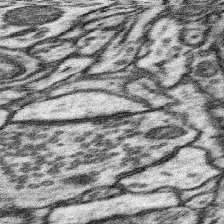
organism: Mouse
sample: Somatosensory cortex neuropil